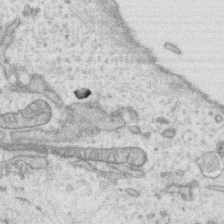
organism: Human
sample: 1205lu cells